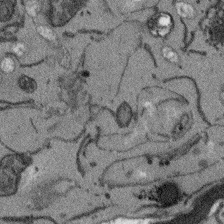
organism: Arabidopsis thaliana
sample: Root tip